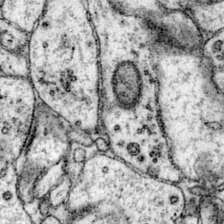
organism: Mouse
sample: Primary visual cortex